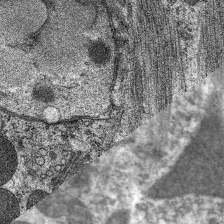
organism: C. elegans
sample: Pharynx